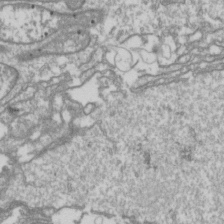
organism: Drosophila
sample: Cell division; meiosis; drosophila spermatocytes